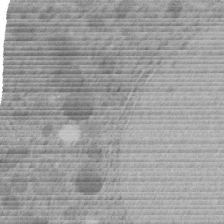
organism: C. elegans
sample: C. elegans embryo early stage